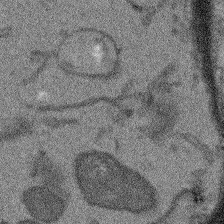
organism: Arabidopsis thaliana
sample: Root tip